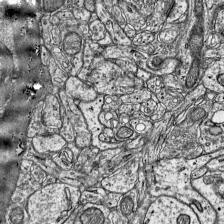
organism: Mouse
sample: Visual Cortex